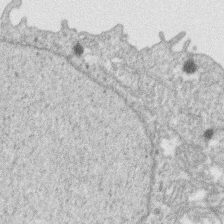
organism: Human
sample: HeLa cell HIV synapse